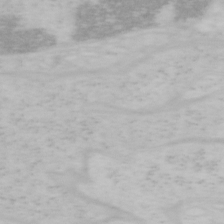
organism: Mouse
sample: OT-I killer T cells with ID8 ovarian cancer cells